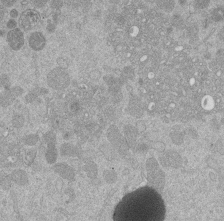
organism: Mouse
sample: Dividing mouse embryo 1 cell stage